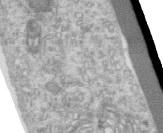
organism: Human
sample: Centriole in RPE cells